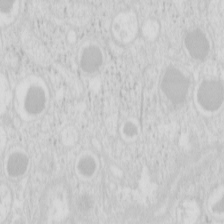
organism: Mouse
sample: Pancreas